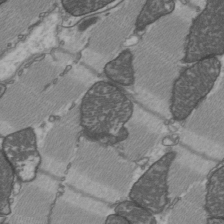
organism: C57BL Mouse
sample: Heart